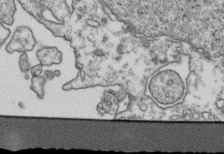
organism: Human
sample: Activated Jurkat CD4+ T cells